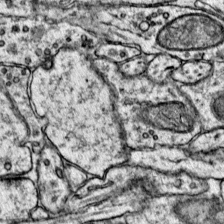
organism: Mouse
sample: Primary visual cortex